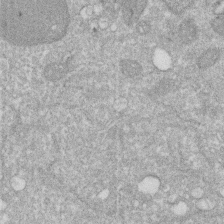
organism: Human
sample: HIV infected U937 cells